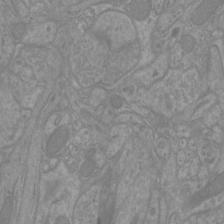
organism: Mouse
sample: Cortical neurons